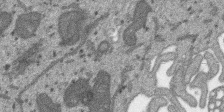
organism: Human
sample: Lung epithelial cells infected with SARS-CoV-2